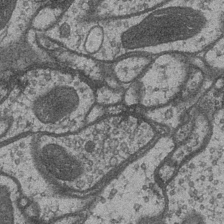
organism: Drosophila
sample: Optic medulla